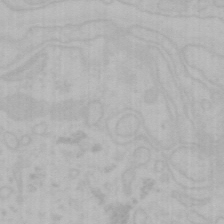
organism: Mouse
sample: Choroid plexus